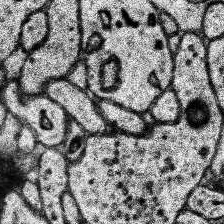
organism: Human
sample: Temporal Lobe